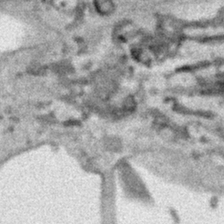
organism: Human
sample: Mitochondria in HCT116 cells